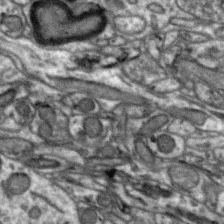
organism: Zebra finch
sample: Brain